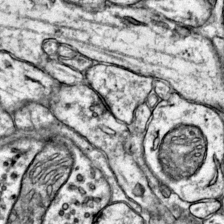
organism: Mouse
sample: Primary visual cortex